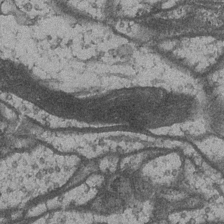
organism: Drosophila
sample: Optic medulla